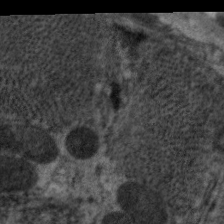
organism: C. elegans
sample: Pharynx